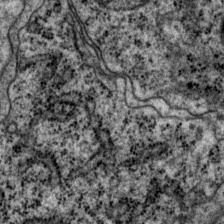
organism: P. pacificus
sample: Pharynx